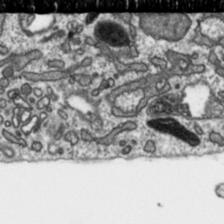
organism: Toxoplasma gondii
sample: Parasites in a vacuole inside a host cell